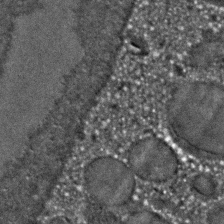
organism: C. elegans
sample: C. elegans embryo